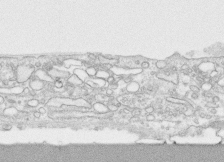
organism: Human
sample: CRL-1474